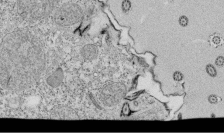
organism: Tetrahymena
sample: Cilia in tetrahymena